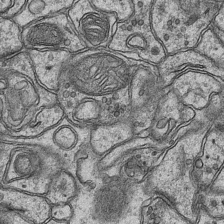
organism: Mouse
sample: CA1 Hippocampus